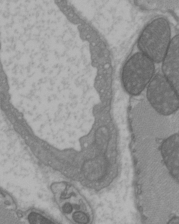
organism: C57BL Mouse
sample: Heart